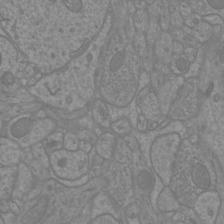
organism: Mouse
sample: Cortical neurons